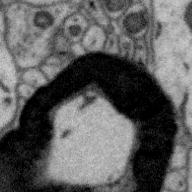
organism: Zebra finch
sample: Brain